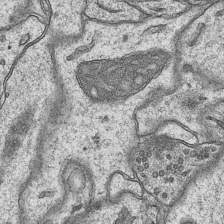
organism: Mouse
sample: CA1 Hippocampus